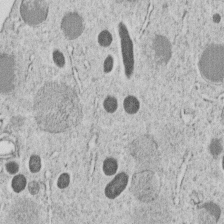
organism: C. elegans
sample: C. elegans embryo early stage